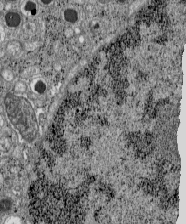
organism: C57BL Mouse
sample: Pancreatic islet